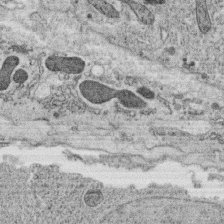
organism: C. elegans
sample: C. elegans oocyte; sperm cells